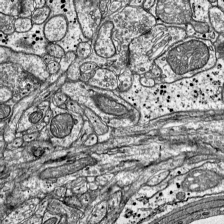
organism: Mouse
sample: Visual Cortex